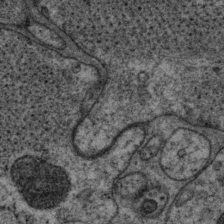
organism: P. pacificus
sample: Pharynx